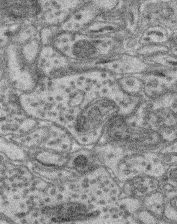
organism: Mouse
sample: Retina